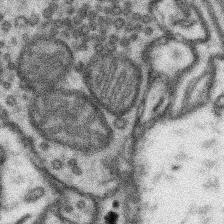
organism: Mouse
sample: Somatosensory cortex neuropil